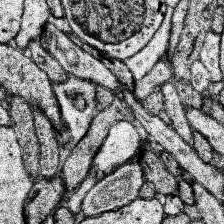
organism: Human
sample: Temporal Lobe